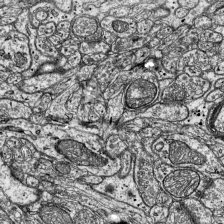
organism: Mouse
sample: Visual Cortex